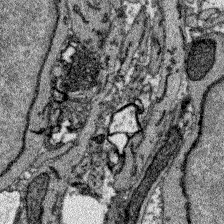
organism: Zebrafish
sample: Larval olfactory bulb